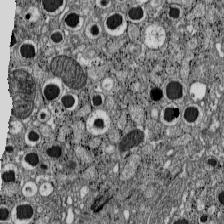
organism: C57BL Mouse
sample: Pancreatic islet